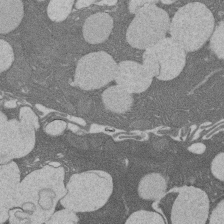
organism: Rat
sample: Salivary granule